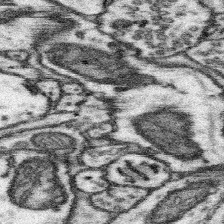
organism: Mouse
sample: Somatosensory cortex neuropil